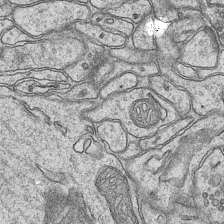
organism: Mouse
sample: CA1 Hippocampus